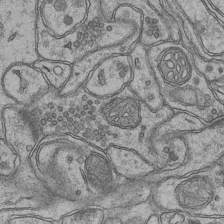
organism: Mouse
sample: CA1 Hippocampus